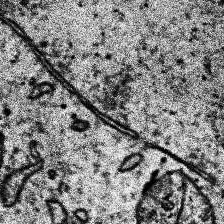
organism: Human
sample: Temporal Lobe